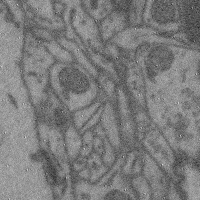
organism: Mouse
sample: Cerebral cortex